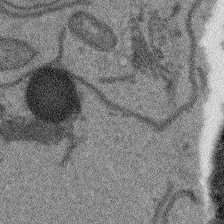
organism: Arabidopsis thaliana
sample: Root tip